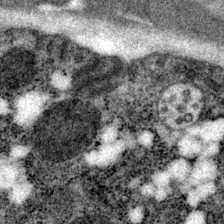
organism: P. pacificus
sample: Pharynx